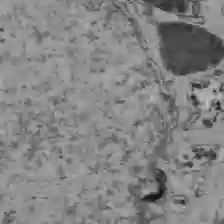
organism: C57BL Mouse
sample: Liver